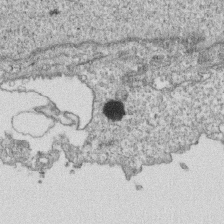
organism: Human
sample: HeLa cell HIV synapse